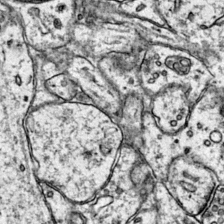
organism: Mouse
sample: Primary visual cortex